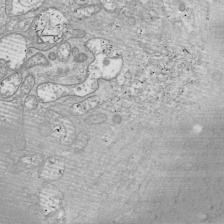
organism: Drosophila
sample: Cell division; meiosis; drosophila spermatocytes